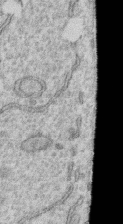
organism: Human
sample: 1205lu cells